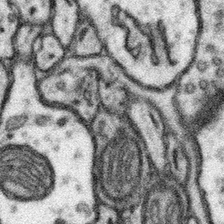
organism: Mouse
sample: Somatosensory cortex neuropil